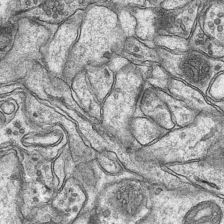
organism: Mouse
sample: CA1 Hippocampus